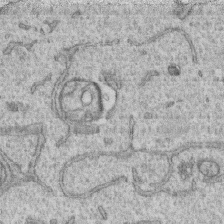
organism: Human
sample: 1205lu cells